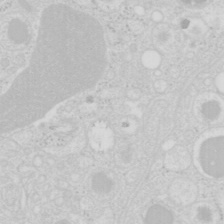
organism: Mouse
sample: Pancreas